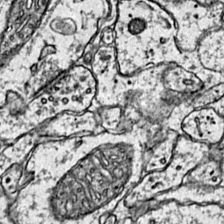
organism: Mouse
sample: Primary visual cortex